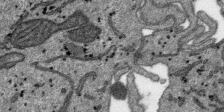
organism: Human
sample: Lung epithelial cells, uninfected (mock) control